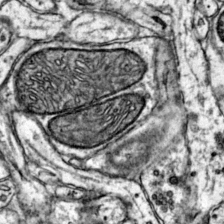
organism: Mouse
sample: Primary visual cortex